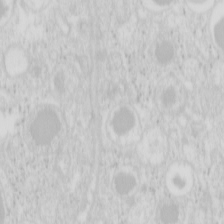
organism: Mouse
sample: Pancreas